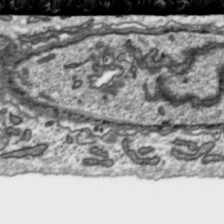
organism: Toxoplasma gondii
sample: Parasites in a vacuole inside a host cell